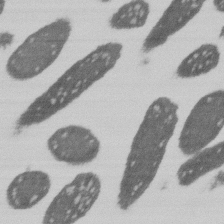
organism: E. coli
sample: Bacterial nucleoid